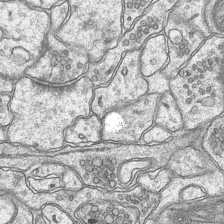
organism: Mouse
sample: CA1 Hippocampus